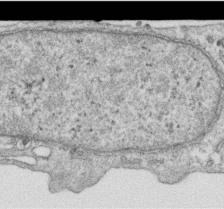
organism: Human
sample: Centriole in RPE cells